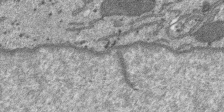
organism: Human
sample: Lung epithelial cells infected with SARS-CoV-2